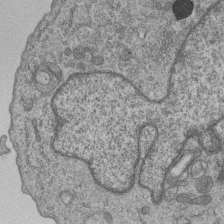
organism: Human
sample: MDA-MB-231 cells